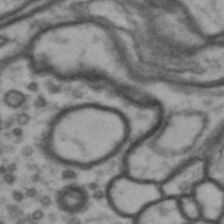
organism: Drosophila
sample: Brain